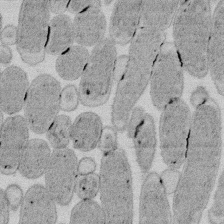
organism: E. coli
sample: Bacterial nucleoid